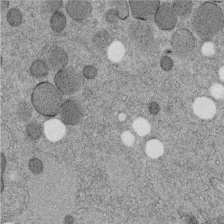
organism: C. elegans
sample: C. elegans embryo early stage